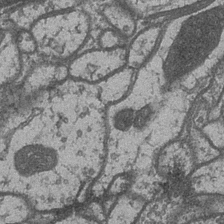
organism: Drosophila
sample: Optic medulla